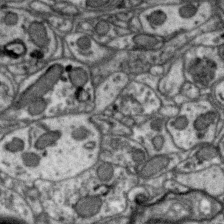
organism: Zebra finch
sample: Brain